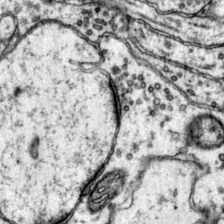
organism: Mouse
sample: Primary visual cortex